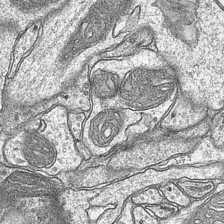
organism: Mouse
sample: CA1 Hippocampus